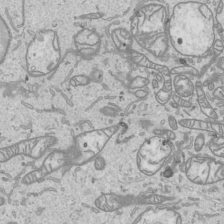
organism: Human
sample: Mitochondria in HCT116 cells